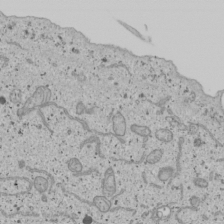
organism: Human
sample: Mitochondria in U2OS cells